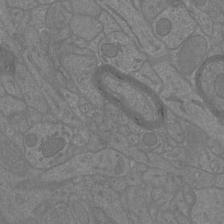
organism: Mouse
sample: Cortical neurons